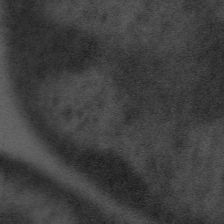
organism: Tuwongella immobilis